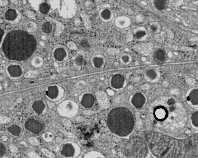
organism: C57BL Mouse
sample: Pancreatic islet